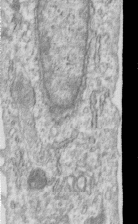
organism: Human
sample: Centriole in RPE cells